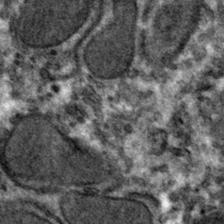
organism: Mouse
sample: Mouse hepatocytes